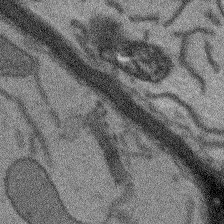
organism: Arabidopsis thaliana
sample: Root tip